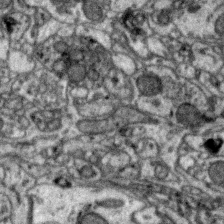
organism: Zebra finch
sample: Brain